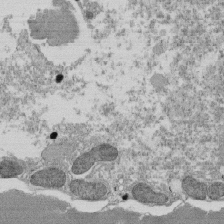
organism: Tetrahymena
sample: Cilia in tetrahymena